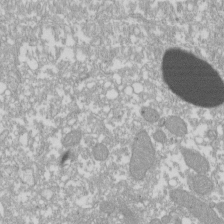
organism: Xenopus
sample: Cilia; centrioles in frog embryo cells